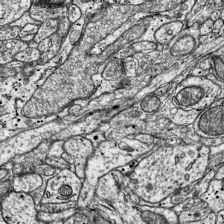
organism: Mouse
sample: Visual Cortex